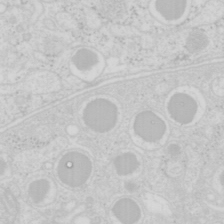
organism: Mouse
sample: Pancreas